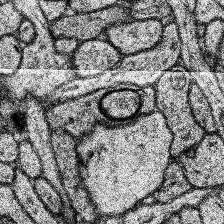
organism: Human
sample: Temporal Lobe